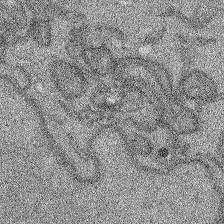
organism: Human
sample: HeLa cells